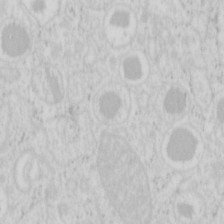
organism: Mouse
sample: Pancreas